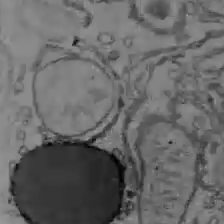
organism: C57BL Mouse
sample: Liver